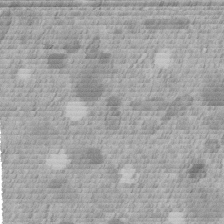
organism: C. elegans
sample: C. elegans embryo early stage